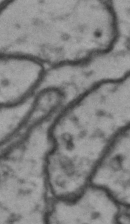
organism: Drosophila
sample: Brain